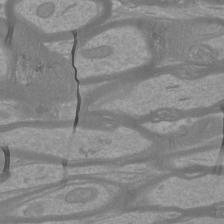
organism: Mouse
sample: Cortical neurons